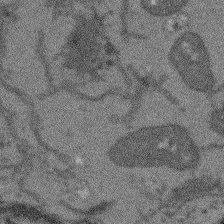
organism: Arabidopsis thaliana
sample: Root tip